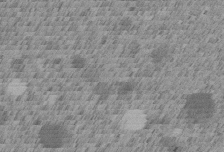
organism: C. elegans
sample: C. elegans embryo early stage